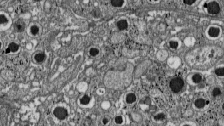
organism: C57BL Mouse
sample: Pancreatic islet